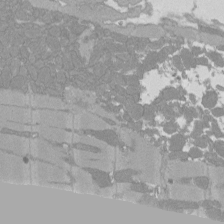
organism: Rat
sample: Left ventricle